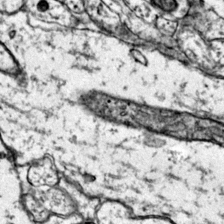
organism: Mouse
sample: Primary visual cortex